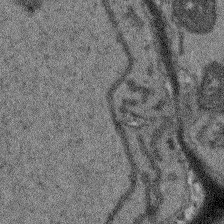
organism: Arabidopsis thaliana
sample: Root tip